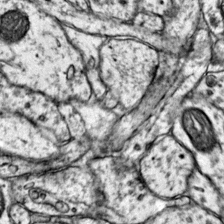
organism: Mouse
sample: Primary visual cortex